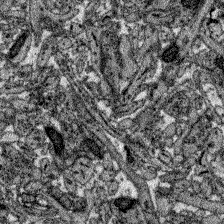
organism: Zebrafish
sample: Larval olfactory bulb